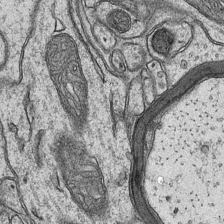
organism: Mouse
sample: CA1 Hippocampus